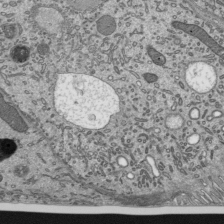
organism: Mouse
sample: Mouse epididymis efferent ductule cilia